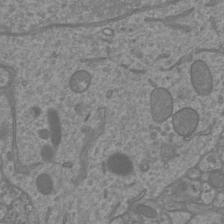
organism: Mouse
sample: Cortical neurons